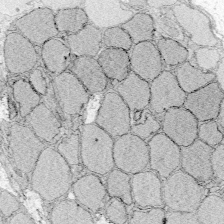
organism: Zebrafish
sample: Whole-Brain